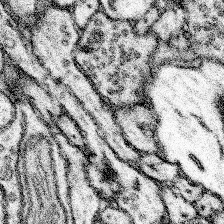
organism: Mouse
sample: Somatosensory cortex neuropil